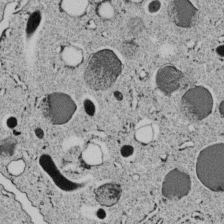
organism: C. elegans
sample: C. elegans embryo early stage